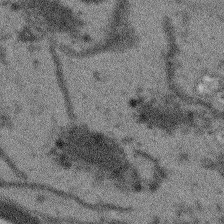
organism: Arabidopsis thaliana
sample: Root tip